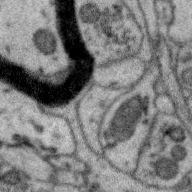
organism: Zebra finch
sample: Brain